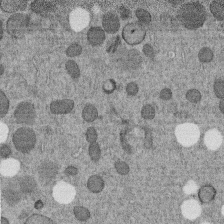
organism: C. elegans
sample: C. elegans embryo early stage